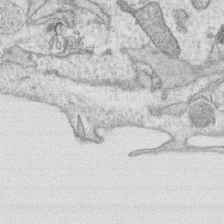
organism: Human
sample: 1205lu cells